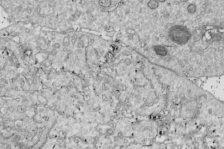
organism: Drosophila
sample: Cell division; meiosis; drosophila spermatocytes